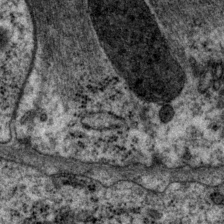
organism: P. pacificus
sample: Pharynx